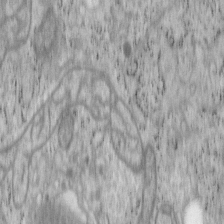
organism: Human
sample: HeLa cells